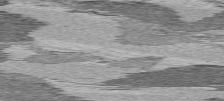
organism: C57BL Mouse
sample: Heart